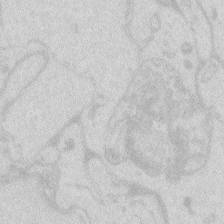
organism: Zebrafish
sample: Macrophage